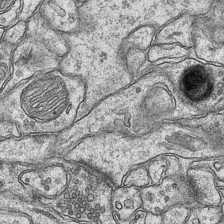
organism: Mouse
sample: CA1 Hippocampus